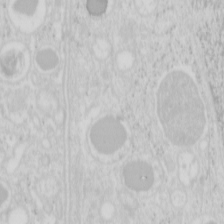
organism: Mouse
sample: Pancreas